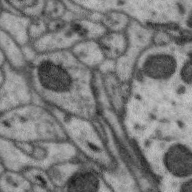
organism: Zebra finch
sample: Brain